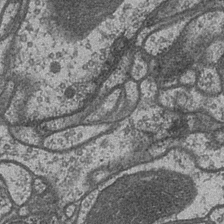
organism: Drosophila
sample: Optic medulla